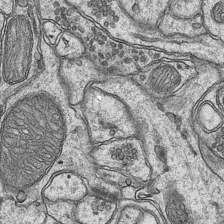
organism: Mouse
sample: CA1 Hippocampus